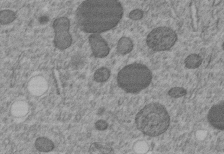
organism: C. elegans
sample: C. elegans embryo early stage